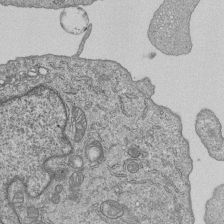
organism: Human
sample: MDA-MB-231 cells